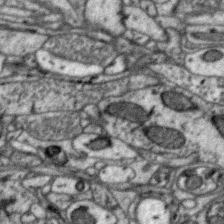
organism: Zebra finch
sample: Brain